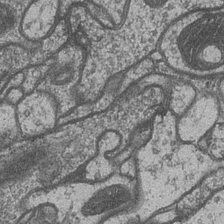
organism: Drosophila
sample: Optic medulla